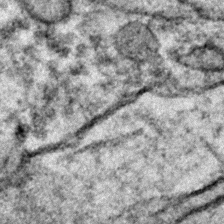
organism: Zebrafish